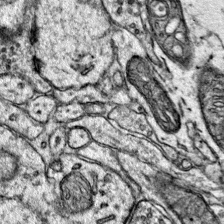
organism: Mouse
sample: Primary visual cortex